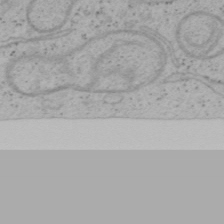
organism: Human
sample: HeLa cells